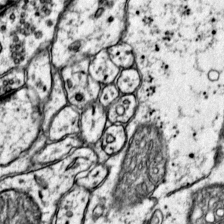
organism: Mouse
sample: Primary visual cortex